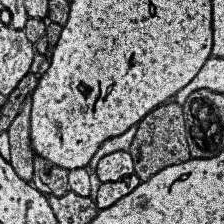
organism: Human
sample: Temporal Lobe